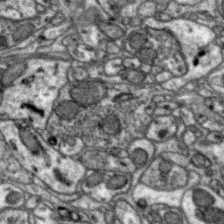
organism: Zebra finch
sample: Brain